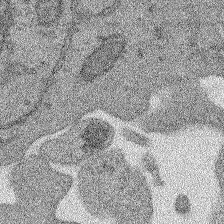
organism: Human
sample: HeLa cells